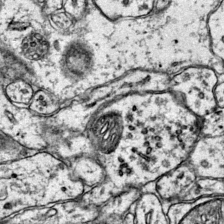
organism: Mouse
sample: Primary visual cortex